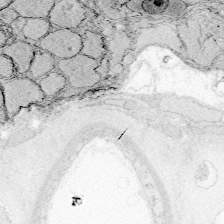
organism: Zebrafish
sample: Whole-Brain